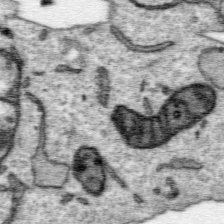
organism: Human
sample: HeLa cells